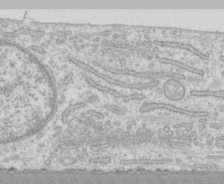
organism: Human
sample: CRL-1474